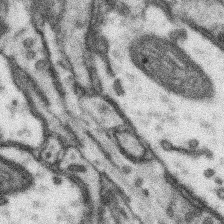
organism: Mouse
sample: Somatosensory cortex neuropil